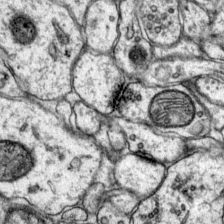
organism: Mouse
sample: Primary visual cortex